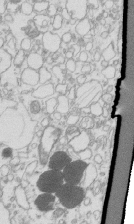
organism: Mouse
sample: Macrophages